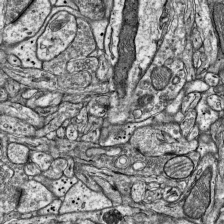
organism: Mouse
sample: Visual Cortex